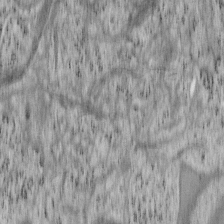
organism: Human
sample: HeLa cells